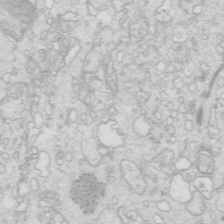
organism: Mouse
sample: Multiciliated cells